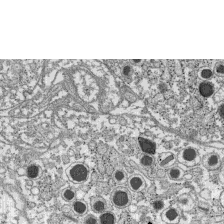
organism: C57BL Mouse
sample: Pancreatic islet